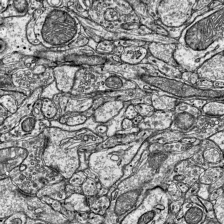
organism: Mouse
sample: Visual Cortex